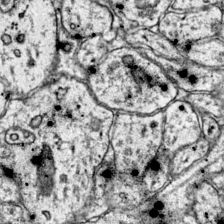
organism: Mouse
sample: Primary visual cortex